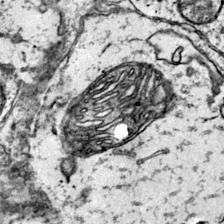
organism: Mouse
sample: Primary visual cortex